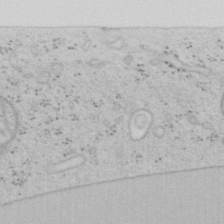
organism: Human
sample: HeLa cells